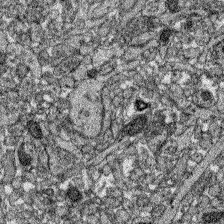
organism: Zebrafish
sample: Larval olfactory bulb